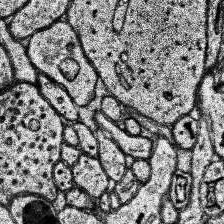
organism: Human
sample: Temporal Lobe